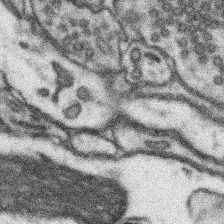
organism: Mouse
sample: Somatosensory cortex neuropil